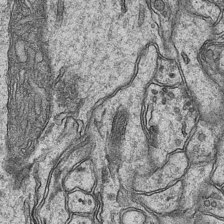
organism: Mouse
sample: CA1 Hippocampus